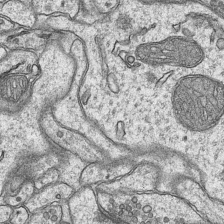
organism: Mouse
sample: CA1 Hippocampus